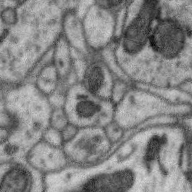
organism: Zebra finch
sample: Brain